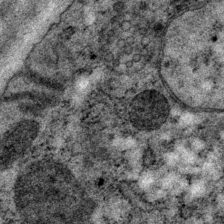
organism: P. pacificus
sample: Pharynx